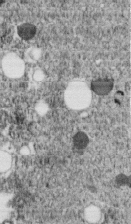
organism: C. elegans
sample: C. elegans embryo early stage